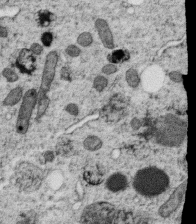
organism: C. elegans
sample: C. elegans oocyte; sperm cells